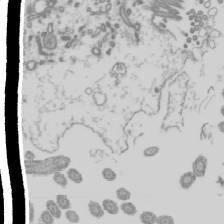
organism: Mouse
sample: Cilia; mouse epididymis